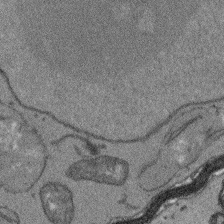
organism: Arabidopsis thaliana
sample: Root tip